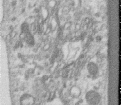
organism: Human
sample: Centriole in RPE cells